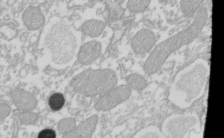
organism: Xenopus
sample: Cilia; centrioles in frog embryo cells